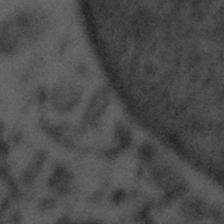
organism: Tuwongella immobilis